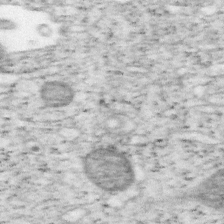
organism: Mouse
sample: OT-I killer T cells with ID8 ovarian cancer cells